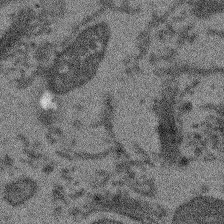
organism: Arabidopsis thaliana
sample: Root tip